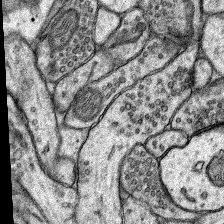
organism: Rat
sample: Hippocampus